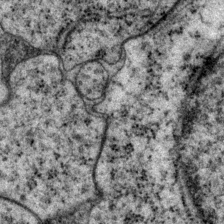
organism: P. pacificus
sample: Pharynx